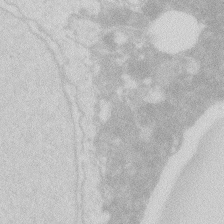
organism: Zebrafish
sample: Macrophage